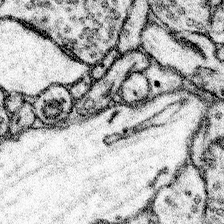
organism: Mouse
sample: Somatosensory cortex neuropil